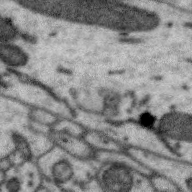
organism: Zebra finch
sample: Brain